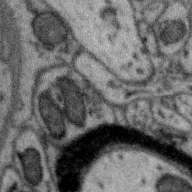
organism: Zebra finch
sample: Brain